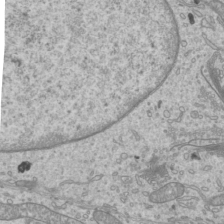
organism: Mouse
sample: Cilia; mouse epididymis